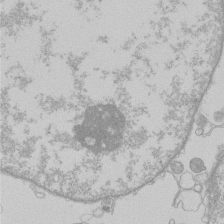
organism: Human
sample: Macrophage cells